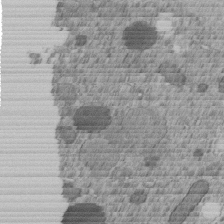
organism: C. elegans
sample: C. elegans embryo early stage